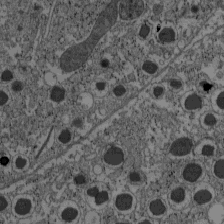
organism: C57BL Mouse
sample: Pancreatic islet